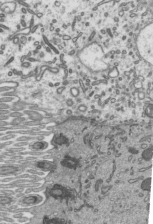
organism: Mouse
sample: Mouse epididymis efferent ductule cilia